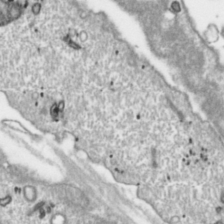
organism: Toxoplasma gondii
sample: Parasites in a vacuole inside a host cell